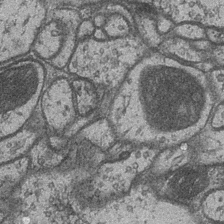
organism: Drosophila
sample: Optic medulla